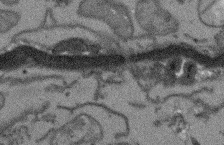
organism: Arabidopsis thaliana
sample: Root tip